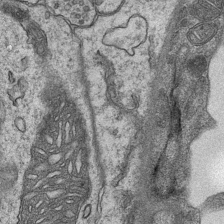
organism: Mouse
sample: CA1 Hippocampus